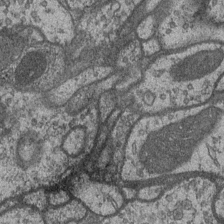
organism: Drosophila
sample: Optic medulla